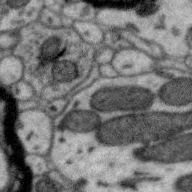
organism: Zebra finch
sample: Brain